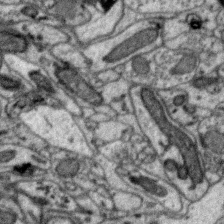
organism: Zebra finch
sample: Brain